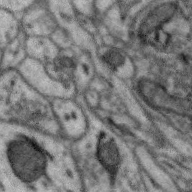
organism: Zebra finch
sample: Brain